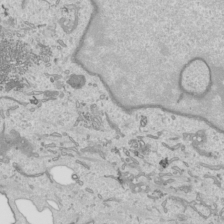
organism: Human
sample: Mitochondria in HCT116 cells